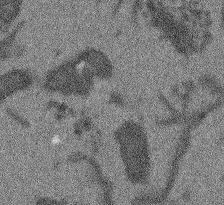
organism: Arabidopsis thaliana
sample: Root tip